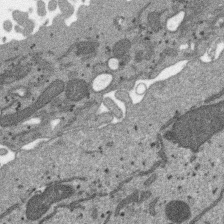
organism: Human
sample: Lung epithelial cells infected with SARS-CoV-2